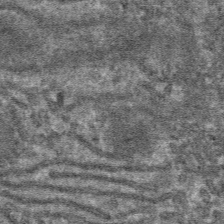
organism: Mouse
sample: Mouse hepatocytes